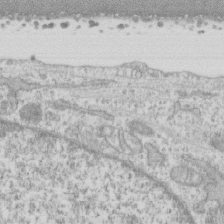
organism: Human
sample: CRL-1474